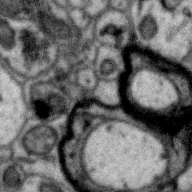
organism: Zebra finch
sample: Brain